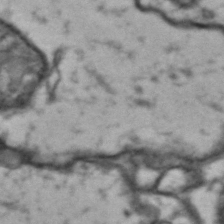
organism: Drosophila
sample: Brain